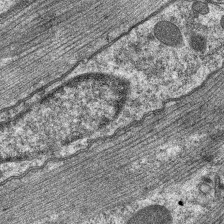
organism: C. elegans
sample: Pharynx